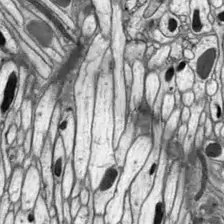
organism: Drosophila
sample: Optic lobe